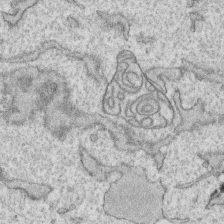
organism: Human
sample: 1205lu cells